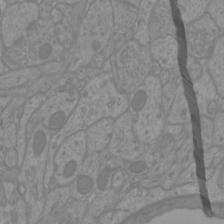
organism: Mouse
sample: Cortical neurons